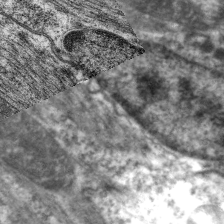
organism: C. elegans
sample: Pharynx